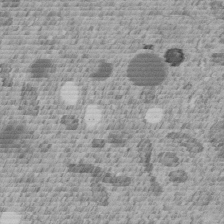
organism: C. elegans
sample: C. elegans embryo early stage